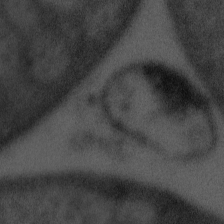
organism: Tuwongella immobilis